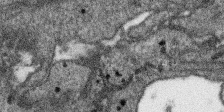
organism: Human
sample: Lung epithelial cells infected with SARS-CoV-2